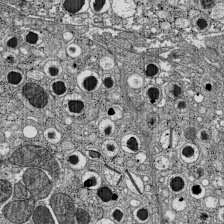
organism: C57BL Mouse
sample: Pancreatic islet